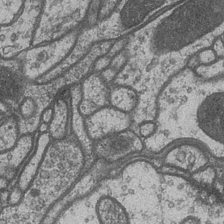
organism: Drosophila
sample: Optic medulla